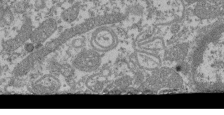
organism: Mouse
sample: Glomerulus